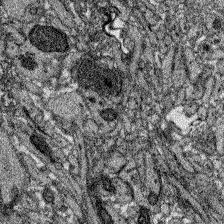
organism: Zebrafish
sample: Larval olfactory bulb